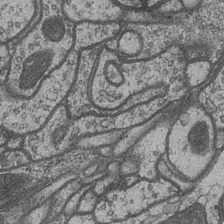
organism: Drosophila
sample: Optic medulla